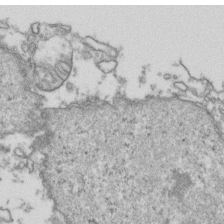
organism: Human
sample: Activated Jurkat CD4+ T cells